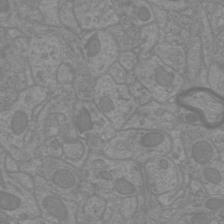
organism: Mouse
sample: Cortical neurons